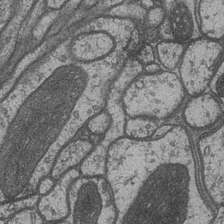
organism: Drosophila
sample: Optic medulla